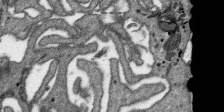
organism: Human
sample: Lung epithelial cells, uninfected (mock) control